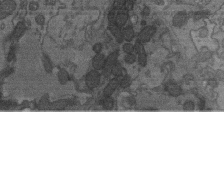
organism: C. elegans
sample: AFD neurons C. elegans